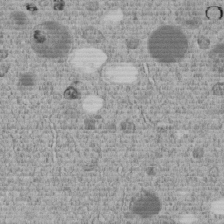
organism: C. elegans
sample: C. elegans embryo early stage